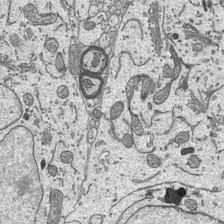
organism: Mouse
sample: Suprachiasmatic nucleus